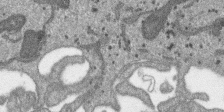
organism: Human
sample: Lung epithelial cells infected with SARS-CoV-2